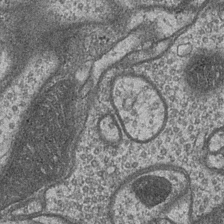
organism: Drosophila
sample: Optic medulla